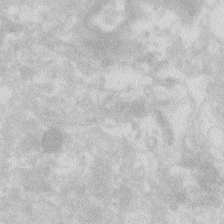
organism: Zebrafish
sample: Macrophage